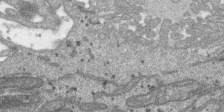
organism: Human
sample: Lung epithelial cells infected with SARS-CoV-2